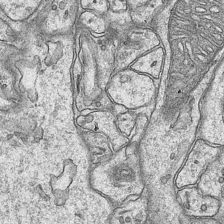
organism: Mouse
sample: CA1 Hippocampus